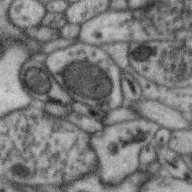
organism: Zebra finch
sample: Brain